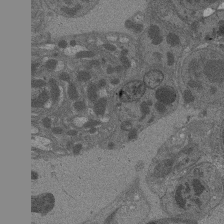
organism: Drosophila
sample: Antenna